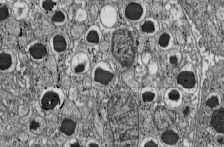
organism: C57BL Mouse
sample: Pancreatic islet